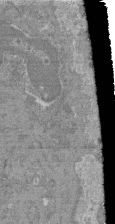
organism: Mouse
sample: Glomerulus